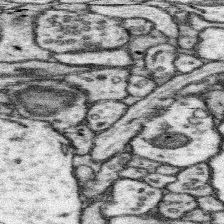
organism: Mouse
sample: Somatosensory cortex neuropil